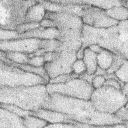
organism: Rabbit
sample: Retina